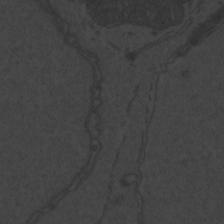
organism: Zebrafish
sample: Macrophage infected with Toxoplasma gondii